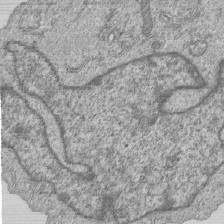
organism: Human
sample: MDA-MB-231 cells